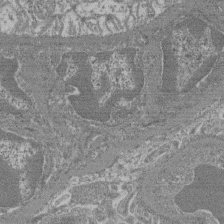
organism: Mouse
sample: Glomerulus